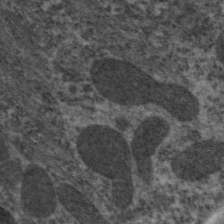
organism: C. elegans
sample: Pharynx